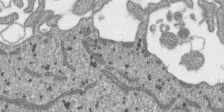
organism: Human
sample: Lung epithelial cells infected with SARS-CoV-2